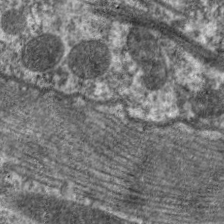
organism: C. elegans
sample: Pharynx